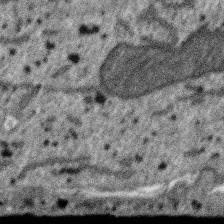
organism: Human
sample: Lung epithelial cells infected with SARS-CoV-2